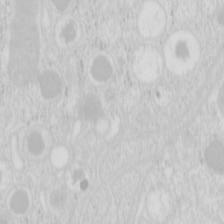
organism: Mouse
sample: Pancreas